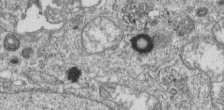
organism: Human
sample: HeLa cell HIV synapse